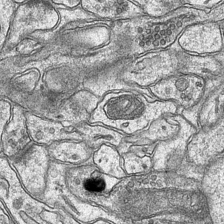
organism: Mouse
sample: CA1 Hippocampus